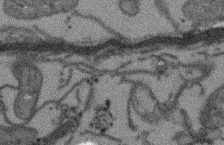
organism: Arabidopsis thaliana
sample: Root tip